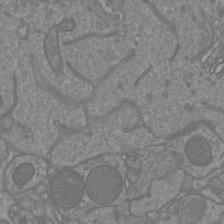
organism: Mouse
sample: Cortical neurons